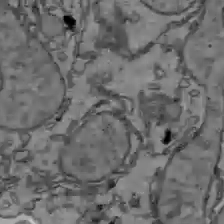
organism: C57BL Mouse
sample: Liver